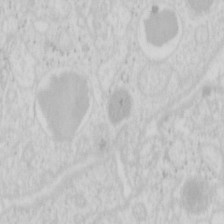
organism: Mouse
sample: Pancreas